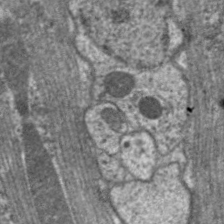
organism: C. elegans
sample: Pharynx